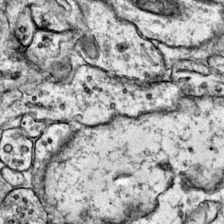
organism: Mouse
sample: Primary visual cortex